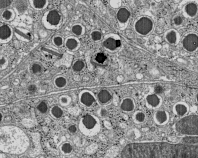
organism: C57BL Mouse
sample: Pancreatic islet